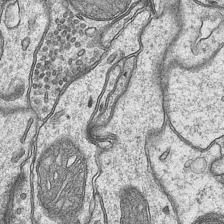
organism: Mouse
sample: CA1 Hippocampus